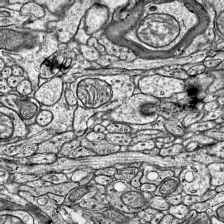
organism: Mouse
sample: Visual Cortex